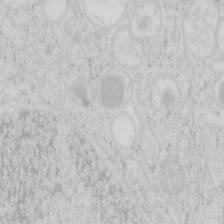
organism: Mouse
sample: Pancreas